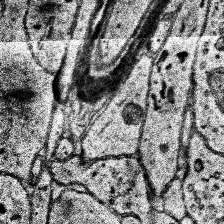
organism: Human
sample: Temporal Lobe